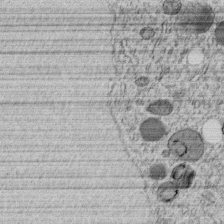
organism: C. elegans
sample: C. elegans embryo early stage